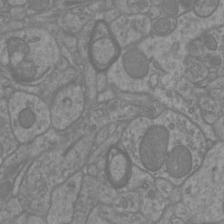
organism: Mouse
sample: Cortical neurons